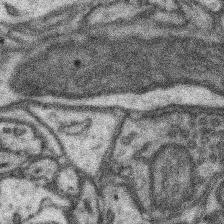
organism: Mouse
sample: Somatosensory cortex neuropil